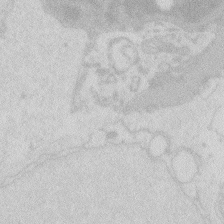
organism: Zebrafish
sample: Macrophage